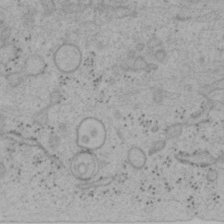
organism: Human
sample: HeLa cells